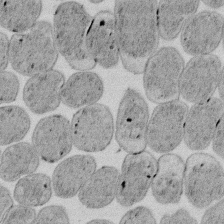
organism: E. coli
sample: Bacterial nucleoid